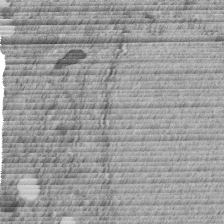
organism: C. elegans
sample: C. elegans embryo early stage